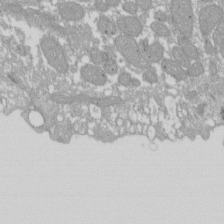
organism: Xenopus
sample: Cilia; centrioles in frog embryo cells